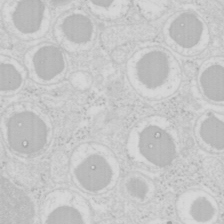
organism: Mouse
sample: Pancreas